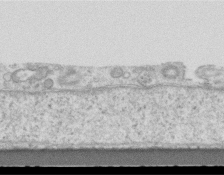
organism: Mouse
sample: Centriole in ependymal cells